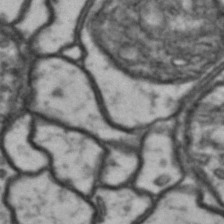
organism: Drosophila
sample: Brain